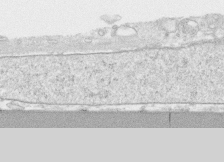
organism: Human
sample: CRL-1474